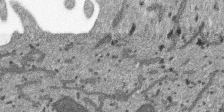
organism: Human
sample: Lung epithelial cells infected with SARS-CoV-2